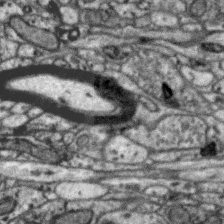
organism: Zebra finch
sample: Brain